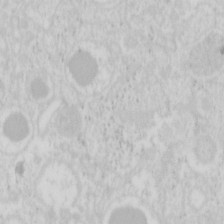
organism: Mouse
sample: Pancreas